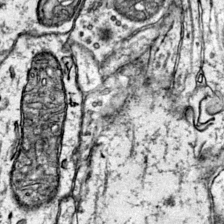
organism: Mouse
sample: Primary visual cortex